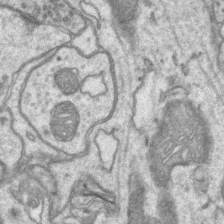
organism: Mouse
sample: CA1 Hippocampus